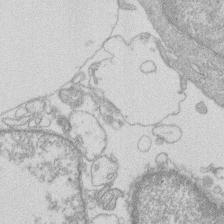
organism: Human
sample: Macrophage cells